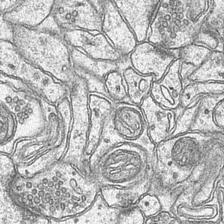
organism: Mouse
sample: CA1 Hippocampus